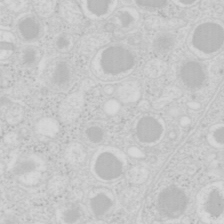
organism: Mouse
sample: Pancreas